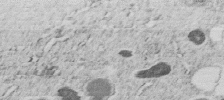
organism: C. elegans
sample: C. elegans embryo early stage